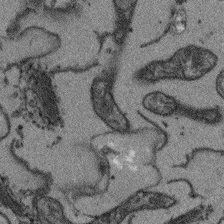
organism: Arabidopsis thaliana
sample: Root tip